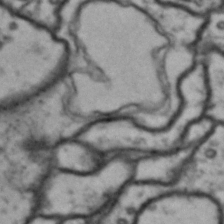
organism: Drosophila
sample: Brain